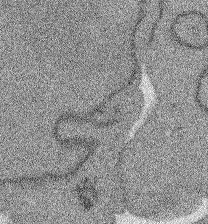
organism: Human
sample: HeLa cells